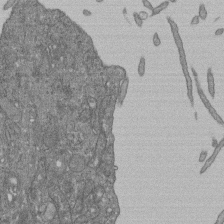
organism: Human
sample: Retinal organoid Rod and Cone cells